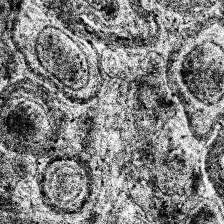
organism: Human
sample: Temporal Lobe